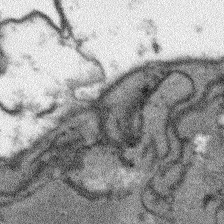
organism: Arabidopsis thaliana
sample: Root tip